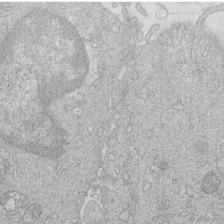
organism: Human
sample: Macrophage cells